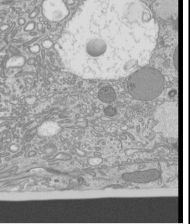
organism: Mouse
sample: Cilia; mouse epididymis